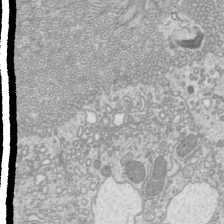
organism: Mouse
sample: Cilia; mouse epididymis